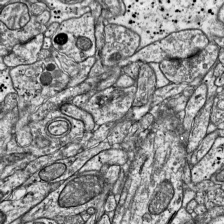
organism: Mouse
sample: Visual Cortex